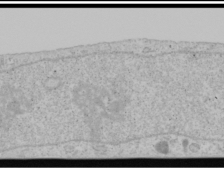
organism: Human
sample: Mitochondria in U2OS cells